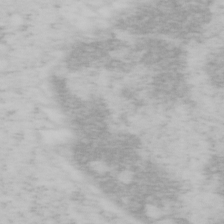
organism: Mouse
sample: OT-I killer T cells with ID8 ovarian cancer cells